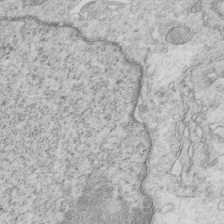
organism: Mouse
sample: Multiciliated cells